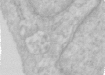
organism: Human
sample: Centriole in RPE cells